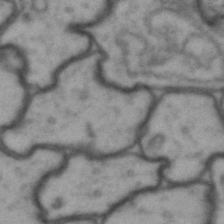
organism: Drosophila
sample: Brain